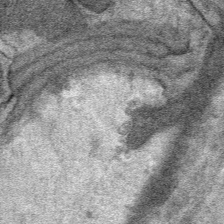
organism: Mouse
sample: Mouse Salivary gland